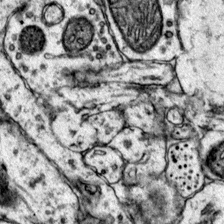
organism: Mouse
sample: Primary visual cortex